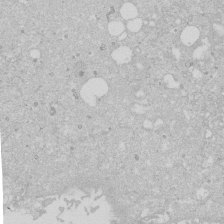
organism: Human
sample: Caco-2 cells